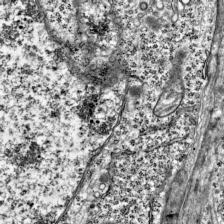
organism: Mouse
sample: Visual Cortex